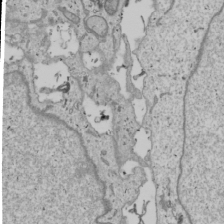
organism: Human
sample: Mitochondria in U2OS cells